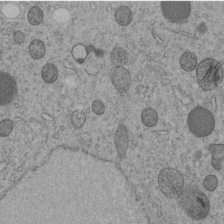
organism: C. elegans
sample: C. elegans embryo early stage